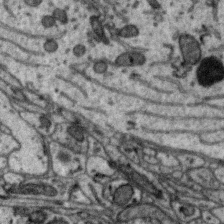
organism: Zebra finch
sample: Brain